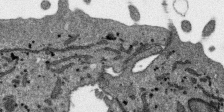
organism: Human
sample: Lung epithelial cells, uninfected (mock) control